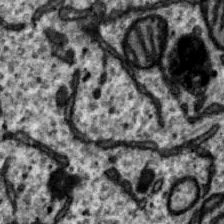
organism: Human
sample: HeLa cells